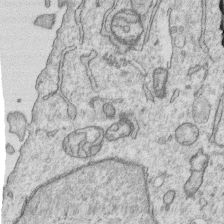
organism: Human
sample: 1205lu cells